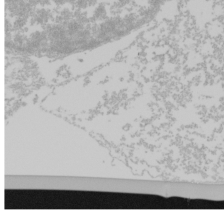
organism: Mouse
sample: Cancer cell death in ED-1 cells